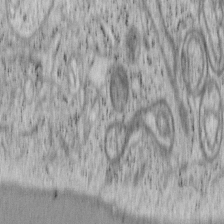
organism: Human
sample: HeLa cells